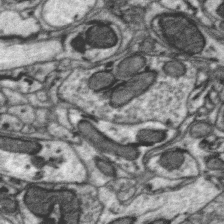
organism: Zebra finch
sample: Brain